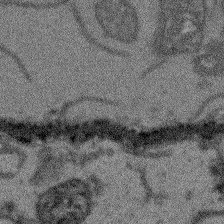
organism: Arabidopsis thaliana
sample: Root tip